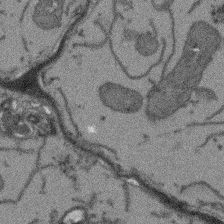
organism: Arabidopsis thaliana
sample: Root tip